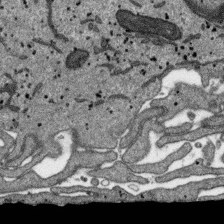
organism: Human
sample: Lung epithelial cells, uninfected (mock) control